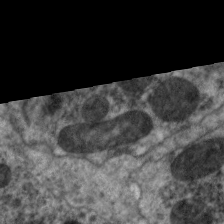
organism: C. elegans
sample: Pharynx